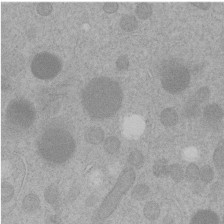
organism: C. elegans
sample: C. elegans embryo early stage